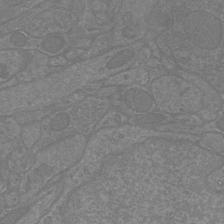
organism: Mouse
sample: Cortical neurons